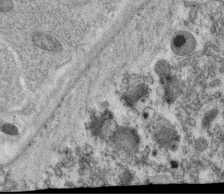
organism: C. elegans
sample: C. elegans oocyte; sperm cells